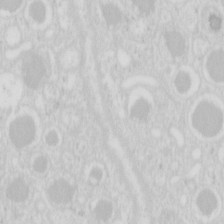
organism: Mouse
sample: Pancreas